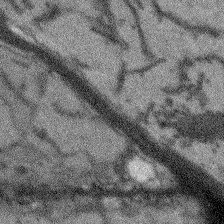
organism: Arabidopsis thaliana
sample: Root tip